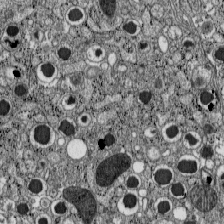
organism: C57BL Mouse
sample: Pancreatic islet